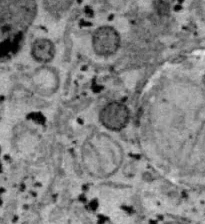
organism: Mouse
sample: Liver from an obese (ob/ob) mouse